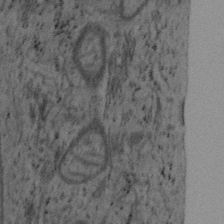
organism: Human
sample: HeLa cells